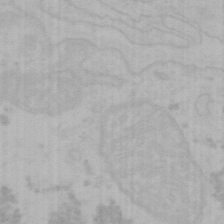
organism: Mouse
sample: Choroid plexus